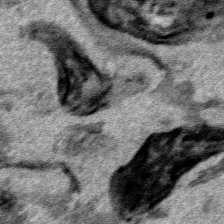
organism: Human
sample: Mitochondria in HCT116 cells